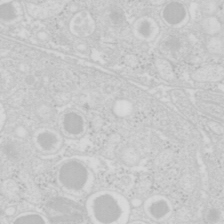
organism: Mouse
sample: Pancreas